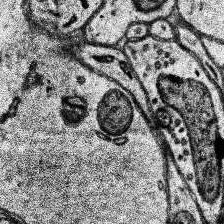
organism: Human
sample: Temporal Lobe